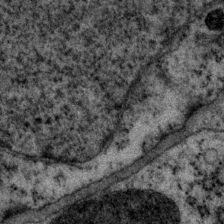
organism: P. pacificus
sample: Pharynx